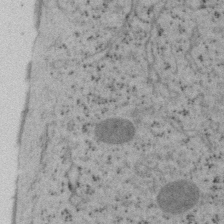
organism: Human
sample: HeLa cells